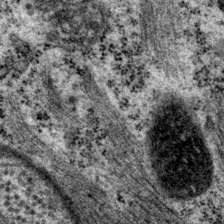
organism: P. pacificus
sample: Pharynx